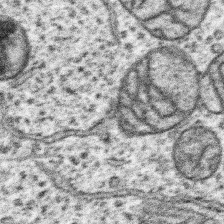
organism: Human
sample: HeLa cells